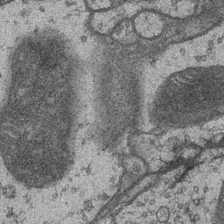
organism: Drosophila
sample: Optic medulla